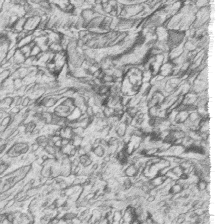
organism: Zebrafish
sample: synaptic ribbons in rod cells and cone cells